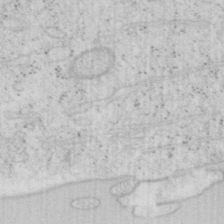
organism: Human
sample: HeLa cells